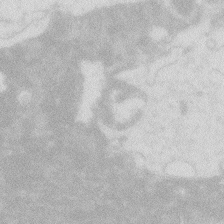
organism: Zebrafish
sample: Macrophage